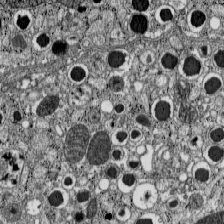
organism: C57BL Mouse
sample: Pancreatic islet